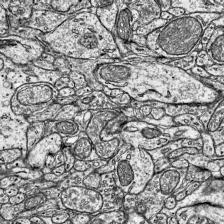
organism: Mouse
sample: Visual Cortex